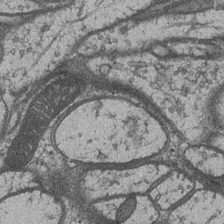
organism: Drosophila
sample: Optic medulla